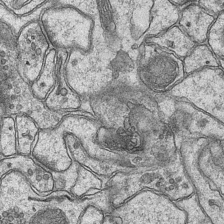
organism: Mouse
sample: CA1 Hippocampus